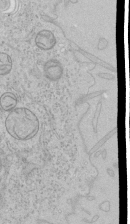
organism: Human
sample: Mitochondria in HCT116 cells